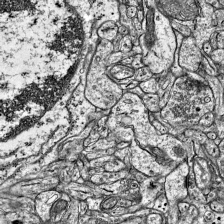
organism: Mouse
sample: Visual Cortex